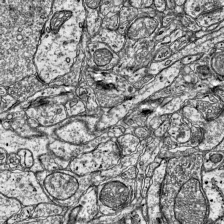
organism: Mouse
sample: Visual Cortex